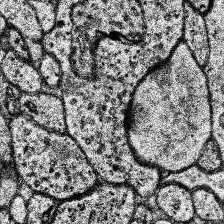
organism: Human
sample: Temporal Lobe